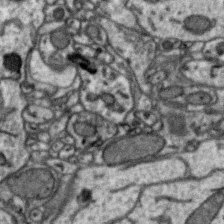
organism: Zebra finch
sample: Brain